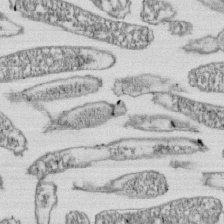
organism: E. coli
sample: Bacterial nucleoid